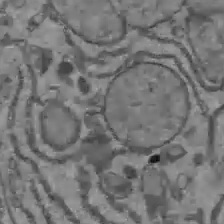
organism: C57BL Mouse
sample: Liver